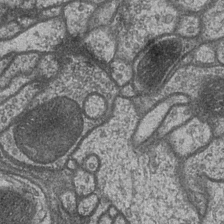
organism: Drosophila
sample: Optic medulla